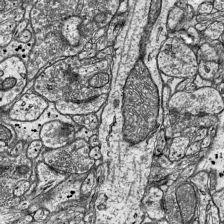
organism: Mouse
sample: Visual Cortex